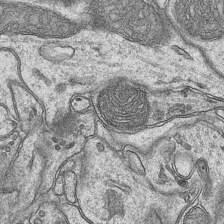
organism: Mouse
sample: CA1 Hippocampus